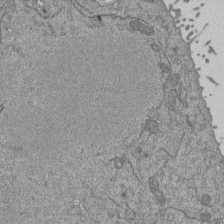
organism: Mouse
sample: ED-1 cell nuclei; centrioles